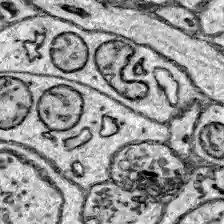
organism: Zebrafish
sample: Brain